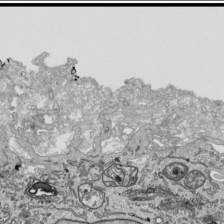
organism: Human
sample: Mitochondria in HCT116 cells